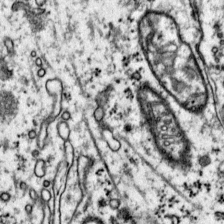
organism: Mouse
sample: Primary visual cortex